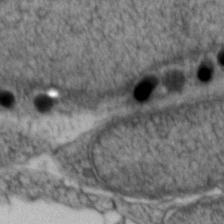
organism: Zebrafish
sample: Zebrafish embryo